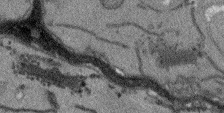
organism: Arabidopsis thaliana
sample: Root tip